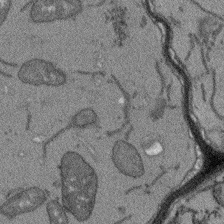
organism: Arabidopsis thaliana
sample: Root tip